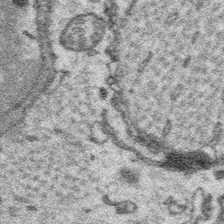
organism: Platynereis dumerilii